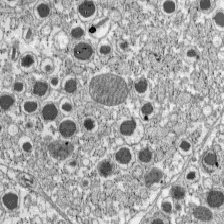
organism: C57BL Mouse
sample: Pancreatic islet